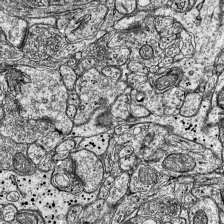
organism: Mouse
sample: Visual Cortex